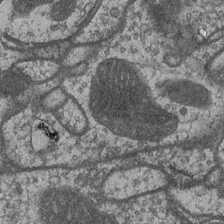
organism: Drosophila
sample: Optic medulla